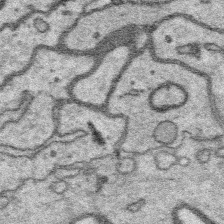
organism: Platynereis dumerilii